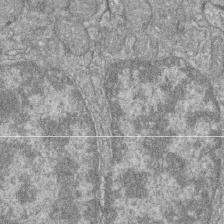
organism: Zebrafish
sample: Cilia; retinal pigment epithelium